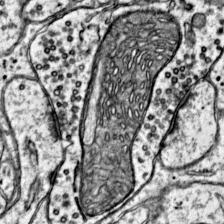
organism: Mouse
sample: Primary visual cortex